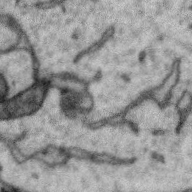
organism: Zebra finch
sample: Brain